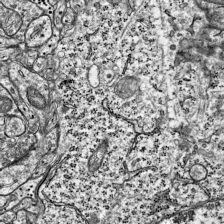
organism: Mouse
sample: Visual Cortex